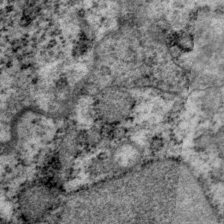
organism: P. pacificus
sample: Pharynx